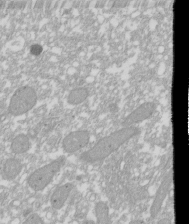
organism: Xenopus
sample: Cilia; centrioles in frog embryo cells